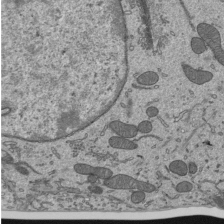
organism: Mouse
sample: Mouse epididymis efferent ductule cilia